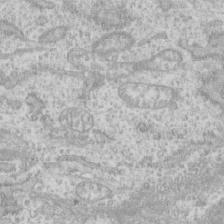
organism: Human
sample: CRL-1474